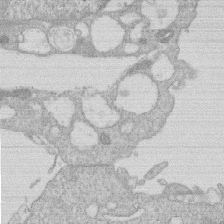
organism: Human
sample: Macrophage cells